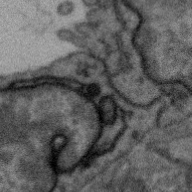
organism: Zebra finch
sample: Brain